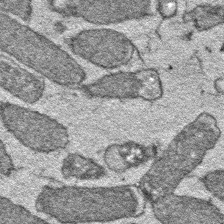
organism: E. coli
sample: E. Coli Bacteria